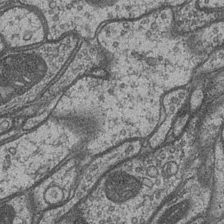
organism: Drosophila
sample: Optic medulla